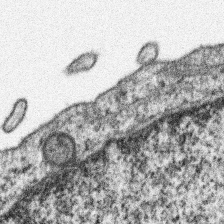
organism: Human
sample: HeLa cells